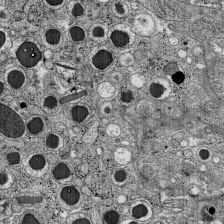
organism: C57BL Mouse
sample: Pancreatic islet